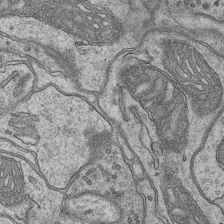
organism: Mouse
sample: CA1 Hippocampus